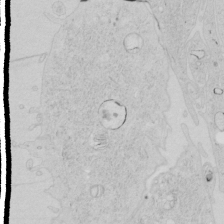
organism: Human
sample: Mitochondria in HCT116 cells